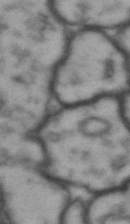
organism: Drosophila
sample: Brain